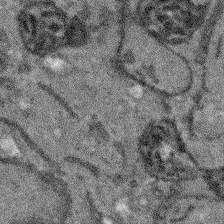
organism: Arabidopsis thaliana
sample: Root tip